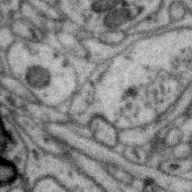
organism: Zebra finch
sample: Brain